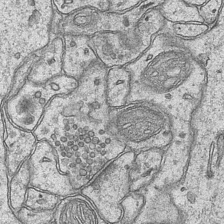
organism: Mouse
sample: CA1 Hippocampus